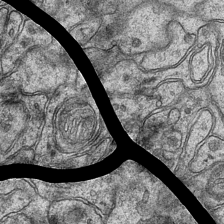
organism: Mouse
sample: CA1 Hippocampus